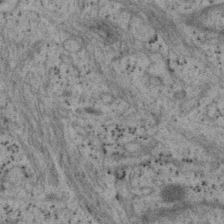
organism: Human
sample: HeLa cells